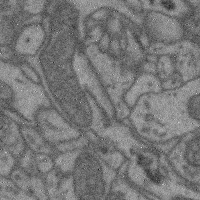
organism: Mouse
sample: Cerebral cortex